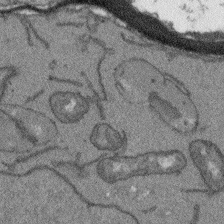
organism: Arabidopsis thaliana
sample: Root tip